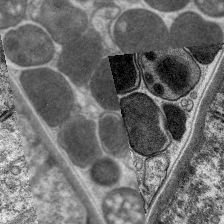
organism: C. elegans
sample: Pharynx